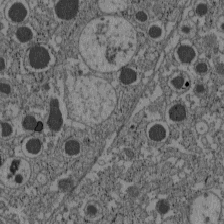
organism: C57BL Mouse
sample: Pancreatic islet